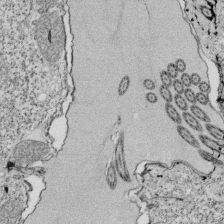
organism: Tetrahymena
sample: Cilia in tetrahymena